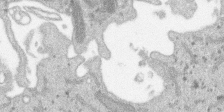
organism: Human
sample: Lung epithelial cells infected with SARS-CoV-2